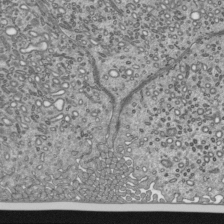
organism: Mouse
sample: Mouse epididymis efferent ductule cilia